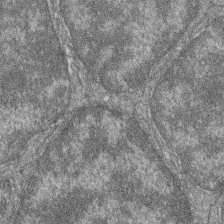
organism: Zebrafish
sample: Cilia; retinal pigment epithelium